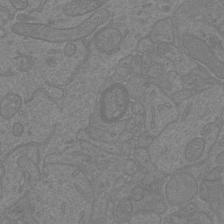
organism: Mouse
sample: Cortical neurons